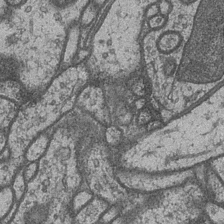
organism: Drosophila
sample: Optic medulla